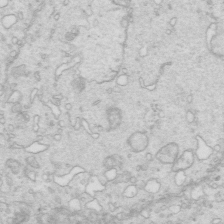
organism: Mouse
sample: Multiciliated cells